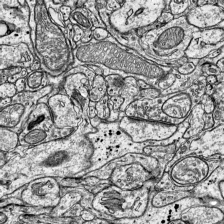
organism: Mouse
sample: Visual Cortex